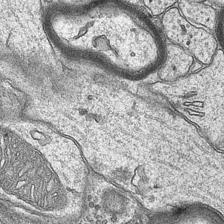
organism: Mouse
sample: CA1 Hippocampus